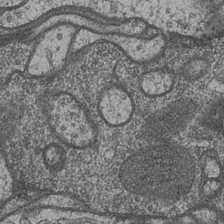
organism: Drosophila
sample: Optic medulla